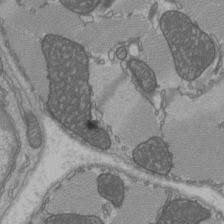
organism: C57BL Mouse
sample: Heart